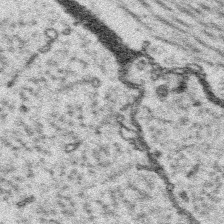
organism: Platynereis dumerilii